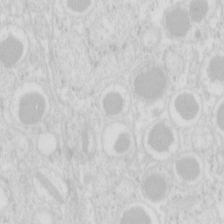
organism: Mouse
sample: Pancreas